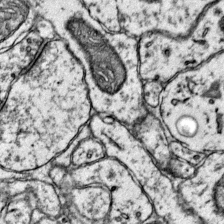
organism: Mouse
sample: Primary visual cortex